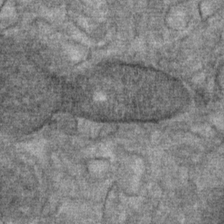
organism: Mouse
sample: Mouse Salivary gland